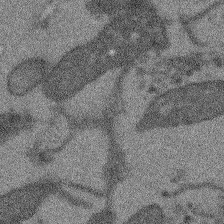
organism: Arabidopsis thaliana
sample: Root tip